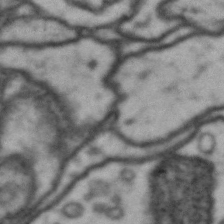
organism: Drosophila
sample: Brain